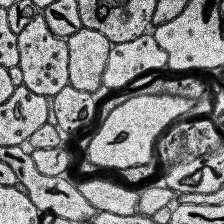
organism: Human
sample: Temporal Lobe